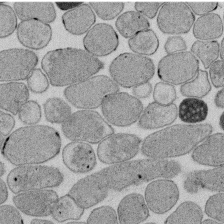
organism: E. coli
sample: Bacterial nucleoid